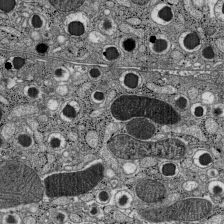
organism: C57BL Mouse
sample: Pancreatic islet